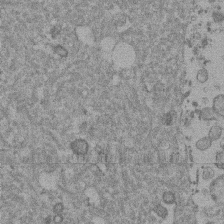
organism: Mouse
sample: Dividing mouse embryo 1 cell stage